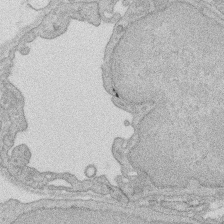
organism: Rat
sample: Salivary granule